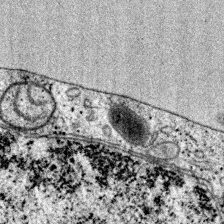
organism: Human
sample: HeLa cells